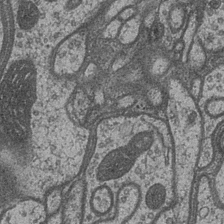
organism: Drosophila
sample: Optic medulla